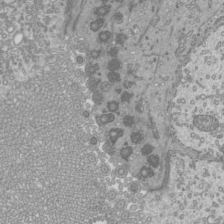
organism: Mouse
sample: Cilia; mouse epididymis